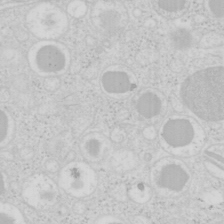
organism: Mouse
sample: Pancreas